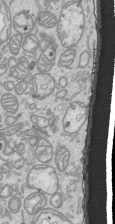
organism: Human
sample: Mitochondria in HCT116 cells